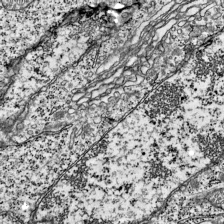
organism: Mouse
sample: Visual Cortex